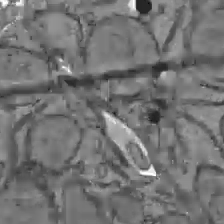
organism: C57BL Mouse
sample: Liver